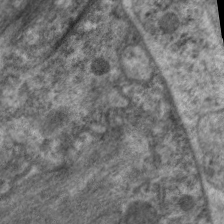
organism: C. elegans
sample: Pharynx